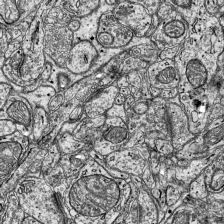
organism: Mouse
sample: Visual Cortex